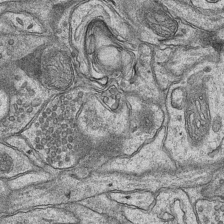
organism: Mouse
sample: CA1 Hippocampus